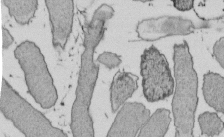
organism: E. coli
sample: Bacterial nucleoid